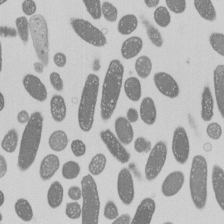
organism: E. coli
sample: Bacterial nucleoid